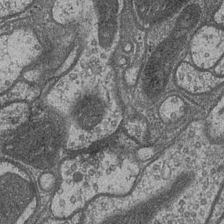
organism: Drosophila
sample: Optic medulla